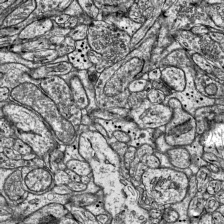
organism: Mouse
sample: Visual Cortex